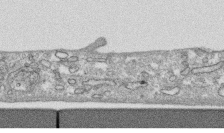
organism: Human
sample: CRL-1474